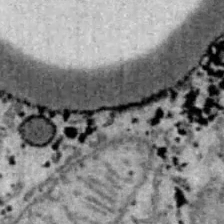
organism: Mouse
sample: Liver from an obese (ob/ob) mouse